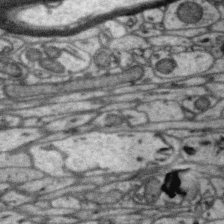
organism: Zebra finch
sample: Brain